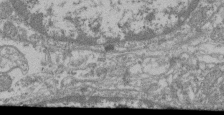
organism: Mouse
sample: Glomerulus